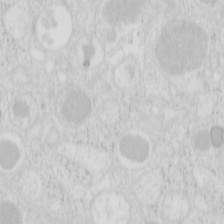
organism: Mouse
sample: Pancreas